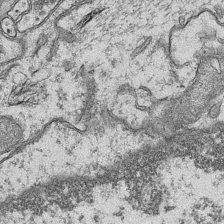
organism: Mouse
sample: CA1 Hippocampus